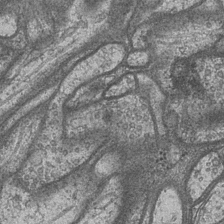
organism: Drosophila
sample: Optic medulla